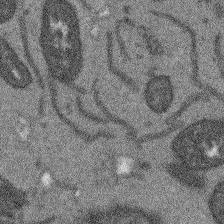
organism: Arabidopsis thaliana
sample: Root tip